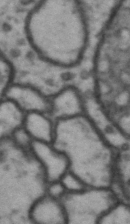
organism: Drosophila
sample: Brain